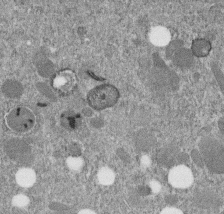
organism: C. elegans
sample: C. elegans embryo early stage